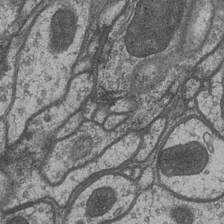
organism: Drosophila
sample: Optic medulla